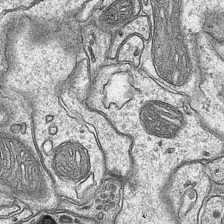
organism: Mouse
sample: CA1 Hippocampus